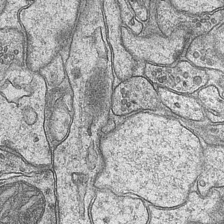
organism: Mouse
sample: CA1 Hippocampus